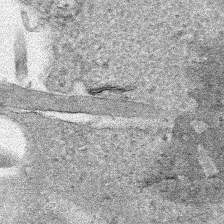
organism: Human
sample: Mitochondria in HCT116 cells